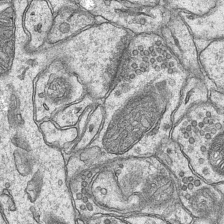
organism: Mouse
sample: CA1 Hippocampus